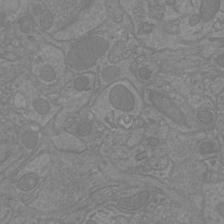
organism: Mouse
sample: Cortical neurons